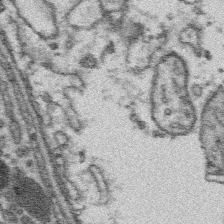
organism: Platynereis dumerilii